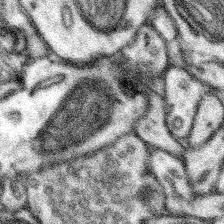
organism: Mouse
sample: Somatosensory cortex neuropil